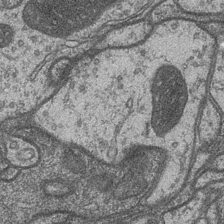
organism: Drosophila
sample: Optic medulla